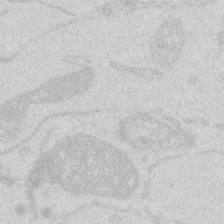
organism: Zebrafish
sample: Macrophage